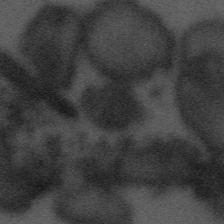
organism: Tuwongella immobilis